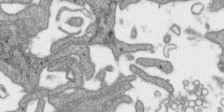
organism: Human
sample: Lung epithelial cells infected with SARS-CoV-2